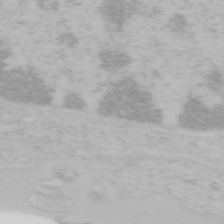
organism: Mouse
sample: OT-I killer T cells with ID8 ovarian cancer cells